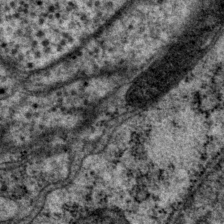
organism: P. pacificus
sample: Pharynx